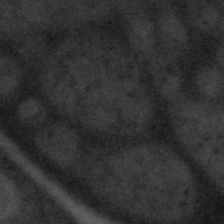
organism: Tuwongella immobilis